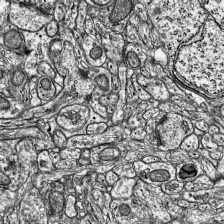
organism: Mouse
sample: Visual Cortex